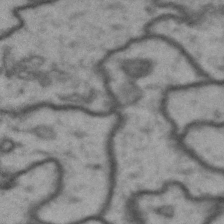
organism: Drosophila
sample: Brain